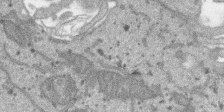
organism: Human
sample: Lung epithelial cells infected with SARS-CoV-2